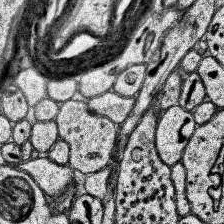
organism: Human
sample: Temporal Lobe